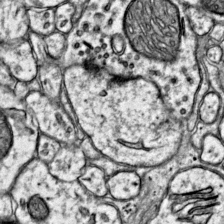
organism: Mouse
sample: Primary visual cortex